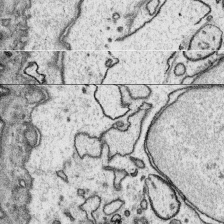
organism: Platynereis dumerilii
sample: Parapodia